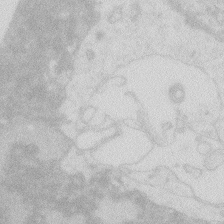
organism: Zebrafish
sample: Macrophage